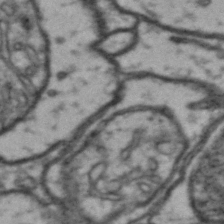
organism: Drosophila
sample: Brain